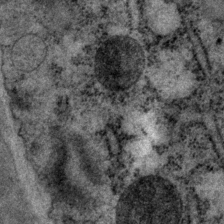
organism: P. pacificus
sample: Pharynx